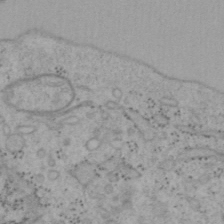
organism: Human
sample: HeLa cells